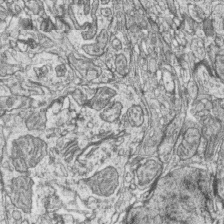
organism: Zebrafish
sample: synaptic ribbons in rod cells and cone cells